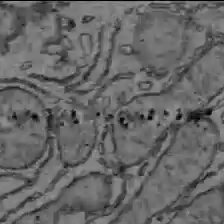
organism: C57BL Mouse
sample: Liver